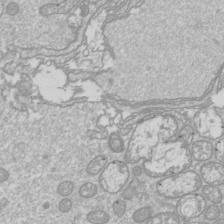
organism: Drosophila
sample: Cell division; meiosis; drosophila spermatocytes